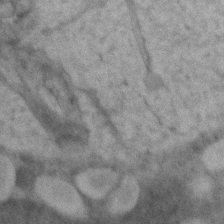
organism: Zebrafish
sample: Zebrafish embryo